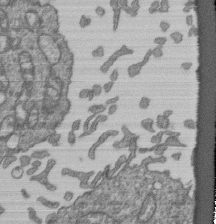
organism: Human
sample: Retinal organoid Rod and Cone cells